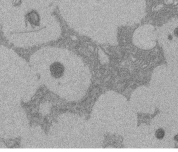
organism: Rat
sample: Salivary granule